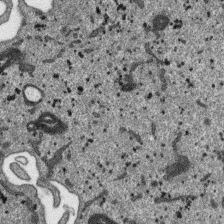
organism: Human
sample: Lung epithelial cells infected with SARS-CoV-2